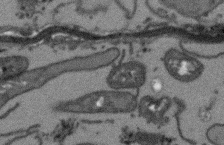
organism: Arabidopsis thaliana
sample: Root tip